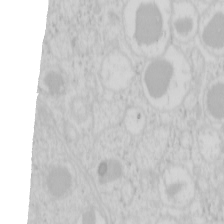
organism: Mouse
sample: Pancreas